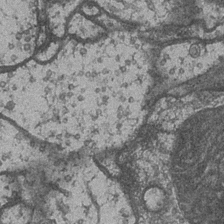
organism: Drosophila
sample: Optic medulla